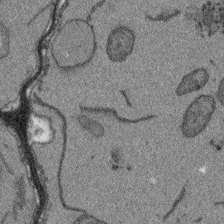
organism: Arabidopsis thaliana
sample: Root tip